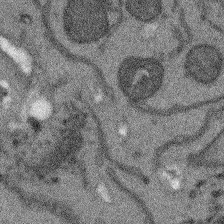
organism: Arabidopsis thaliana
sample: Root tip